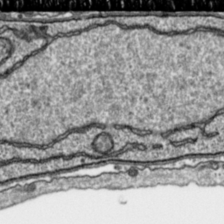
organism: Toxoplasma gondii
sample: Parasites in a vacuole inside a host cell